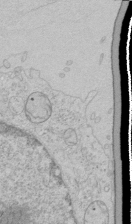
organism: Human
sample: Mitochondria in HCT116 cells